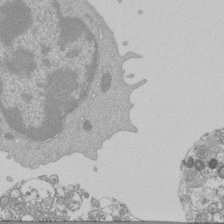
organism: Mouse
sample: Activated Pmel transgenic CD8+ T Cells